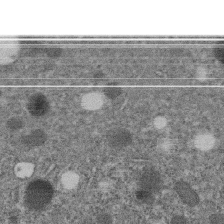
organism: C. elegans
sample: C. elegans embryo early stage